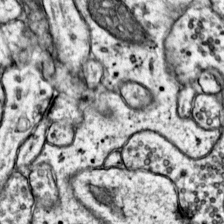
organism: Mouse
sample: Primary visual cortex